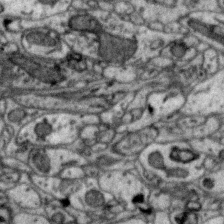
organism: Zebra finch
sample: Brain